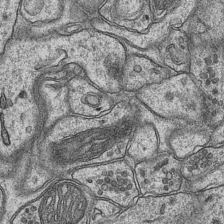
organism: Mouse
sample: CA1 Hippocampus